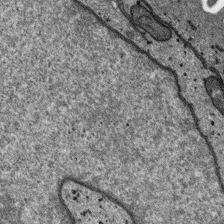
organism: Human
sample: Lung epithelial cells, uninfected (mock) control